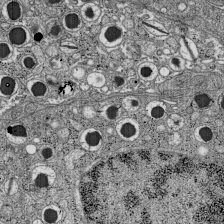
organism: C57BL Mouse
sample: Pancreatic islet